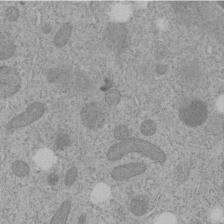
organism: C. elegans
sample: C. elegans embryo early stage